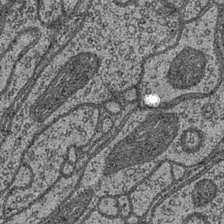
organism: Drosophila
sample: Optic medulla